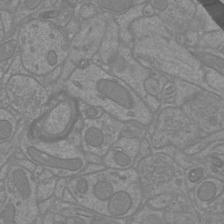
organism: Mouse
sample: Cortical neurons